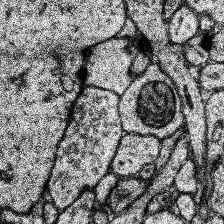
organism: Human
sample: Temporal Lobe